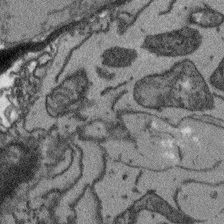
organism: Arabidopsis thaliana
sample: Root tip